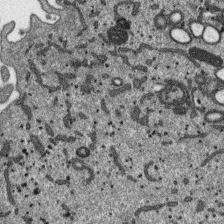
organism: Human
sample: Lung epithelial cells infected with SARS-CoV-2